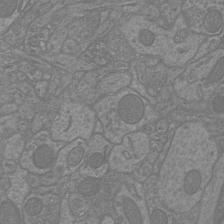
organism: Mouse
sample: Cortical neurons